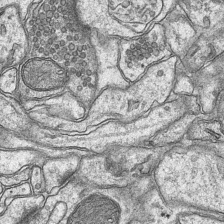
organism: Mouse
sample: CA1 Hippocampus